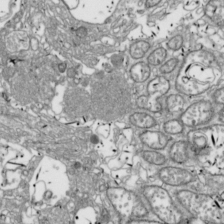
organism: Drosophila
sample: Cell division; meiosis; drosophila spermatocytes